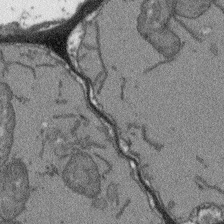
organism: Arabidopsis thaliana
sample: Root tip